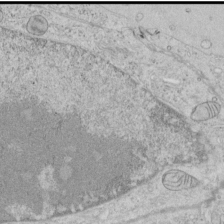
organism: Human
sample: Mitochondria in HCT116 cells